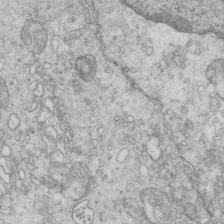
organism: Mouse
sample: Multiciliated cells